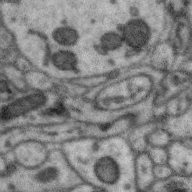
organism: Zebra finch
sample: Brain